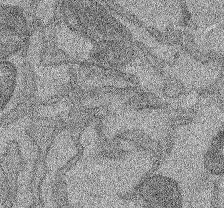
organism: Human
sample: HeLa cells